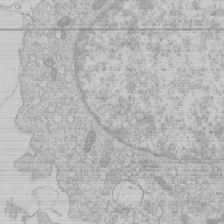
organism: Human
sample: Macrophage cells